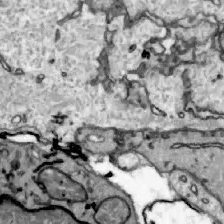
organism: Zebrafish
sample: Actinotrichia fibers